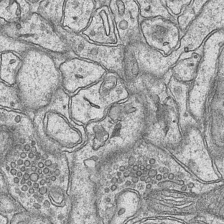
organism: Mouse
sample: CA1 Hippocampus